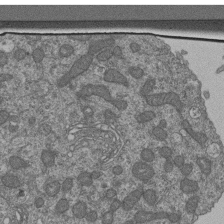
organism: Human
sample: Retinal organoid Rod and Cone cells